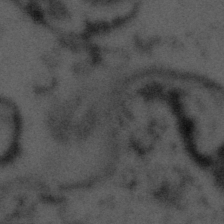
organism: Tuwongella immobilis